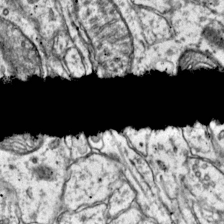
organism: Mouse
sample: Primary visual cortex